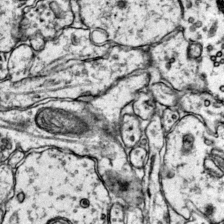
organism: Mouse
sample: Primary visual cortex